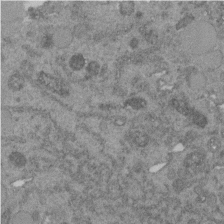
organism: C. elegans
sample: C. elegans embryo early stage